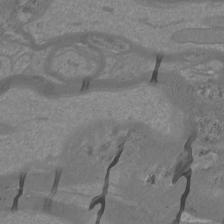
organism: Mouse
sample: Cortical neurons